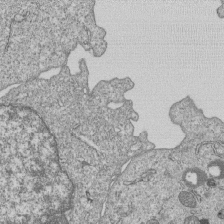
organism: Human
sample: MDA-MB-231 cells